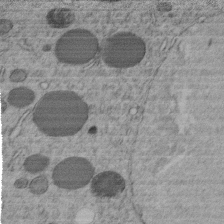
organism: C. elegans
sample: C. elegans embryo early stage